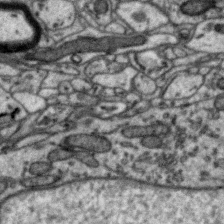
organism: Zebra finch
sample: Brain